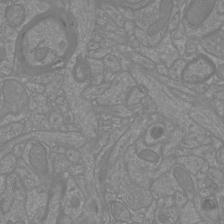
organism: Mouse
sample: Cortical neurons